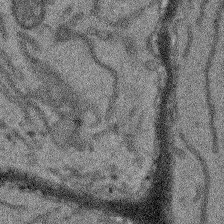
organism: Arabidopsis thaliana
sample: Root tip